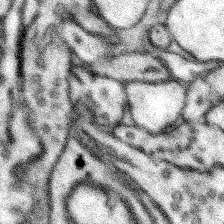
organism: Mouse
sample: Somatosensory cortex neuropil